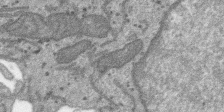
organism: Human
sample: Lung epithelial cells infected with SARS-CoV-2